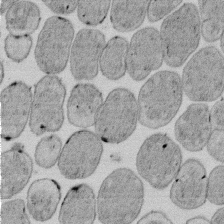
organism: E. coli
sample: Bacterial nucleoid